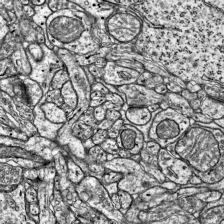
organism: Mouse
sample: Visual Cortex